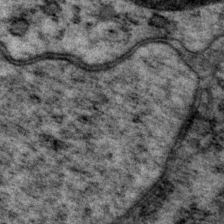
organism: P. pacificus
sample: Pharynx